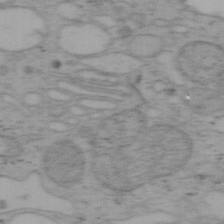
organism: Mouse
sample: OT-I killer T cells with ID8 ovarian cancer cells